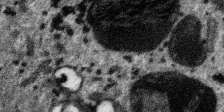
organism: Human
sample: Lung epithelial cells infected with SARS-CoV-2